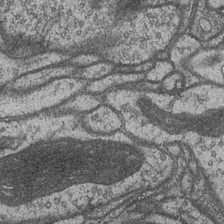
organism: Drosophila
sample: Optic medulla